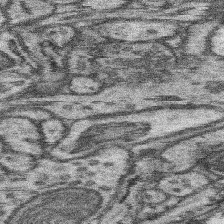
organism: Mouse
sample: Somatosensory cortex neuropil